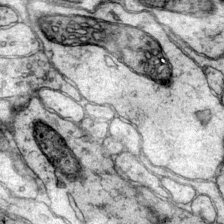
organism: Mouse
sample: Primary visual cortex